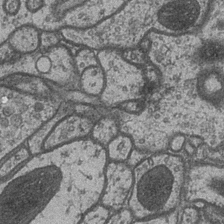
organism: Drosophila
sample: Optic medulla